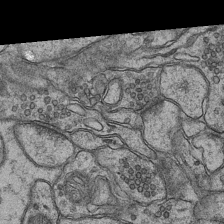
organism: Mouse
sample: CA1 Hippocampus